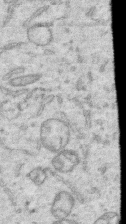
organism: Human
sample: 1205lu cells